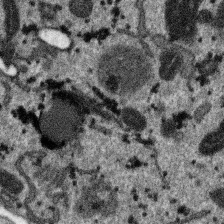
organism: Human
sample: Lung epithelial cells infected with SARS-CoV-2